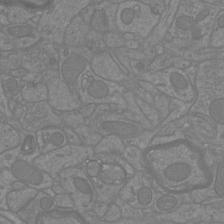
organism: Mouse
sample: Cortical neurons